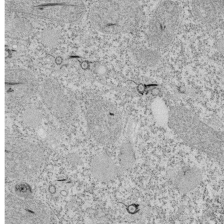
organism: Tetrahymena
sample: Cilia in tetrahymena